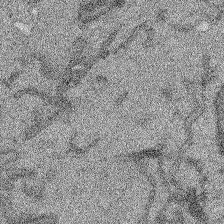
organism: Human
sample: HeLa cells